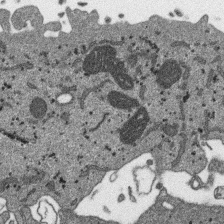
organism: Human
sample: Lung epithelial cells infected with SARS-CoV-2